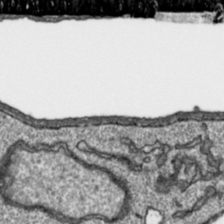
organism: Toxoplasma gondii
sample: Parasites in a vacuole inside a host cell